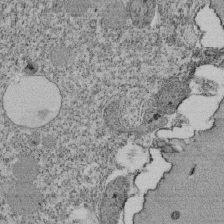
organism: Tetrahymena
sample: Cilia in tetrahymena